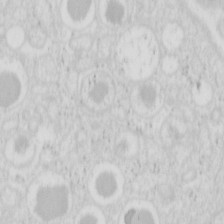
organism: Mouse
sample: Pancreas